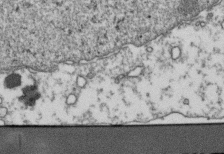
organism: Human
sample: Activated Jurkat CD4+ T cells